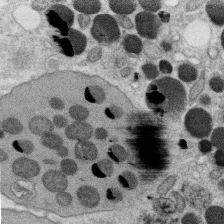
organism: C. elegans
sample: C. elegans oocyte; sperm cells